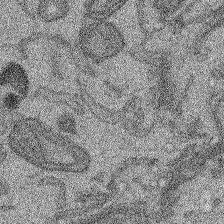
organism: Human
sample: HeLa cells